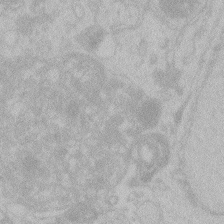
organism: Zebrafish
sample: Macrophage infected with Toxoplasma gondii